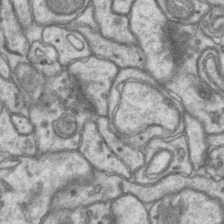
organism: Mouse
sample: CA1 Hippocampus